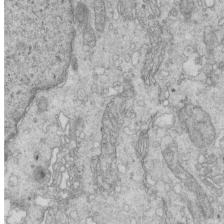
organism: Mouse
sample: Multiciliated cells